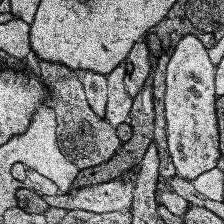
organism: Human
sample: Temporal Lobe